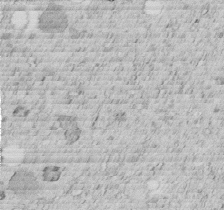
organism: C. elegans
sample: C. elegans embryo early stage